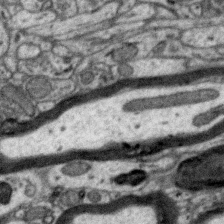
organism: Zebra finch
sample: Brain